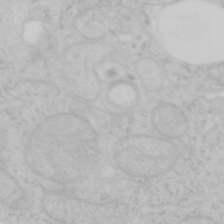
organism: Mouse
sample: OT-I killer T cells with ID8 ovarian cancer cells